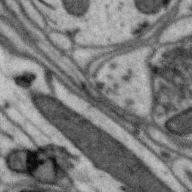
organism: Zebra finch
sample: Brain